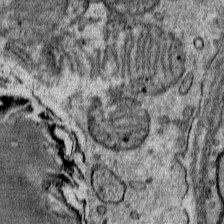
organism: Mouse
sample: Mouse Salivary gland